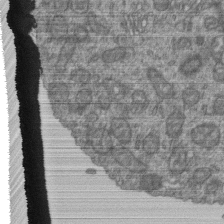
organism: Human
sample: Retinal organoid Rod and Cone cells